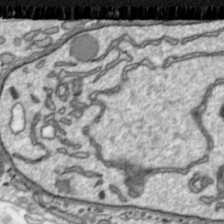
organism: Toxoplasma gondii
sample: Parasites in a vacuole inside a host cell